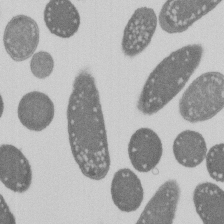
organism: E. coli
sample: Bacterial nucleoid